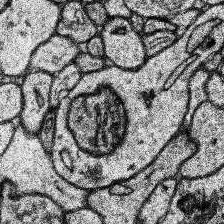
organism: Human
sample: Temporal Lobe